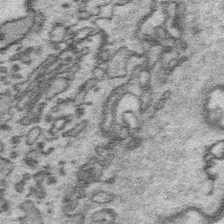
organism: Platynereis dumerilii